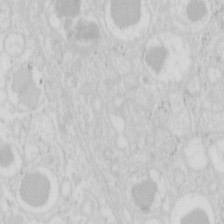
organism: Mouse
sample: Pancreas